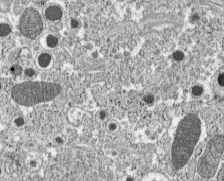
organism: C57BL Mouse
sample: Pancreatic islet